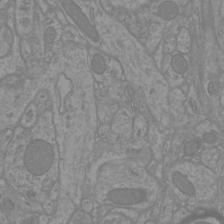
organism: Mouse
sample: Cortical neurons